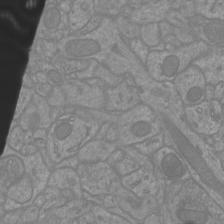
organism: Mouse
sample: Cortical neurons